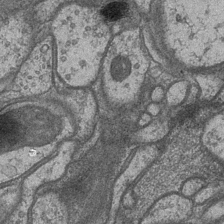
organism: Drosophila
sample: Optic medulla